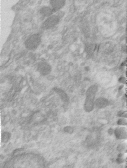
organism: Human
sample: Centriole in RPE cells